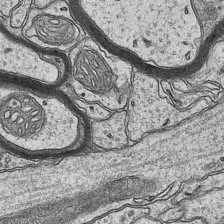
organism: Mouse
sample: CA1 Hippocampus